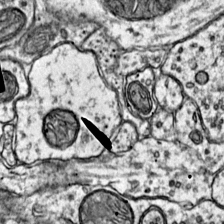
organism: Mouse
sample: Primary visual cortex